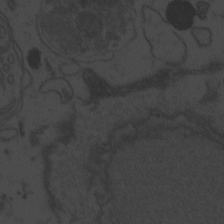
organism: Zebrafish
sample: Macrophage infected with Toxoplasma gondii